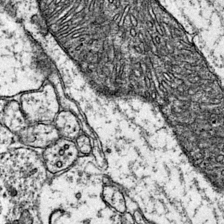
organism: Mouse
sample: Primary visual cortex